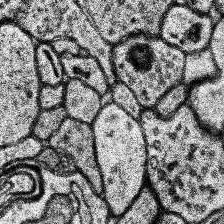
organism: Human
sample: Temporal Lobe